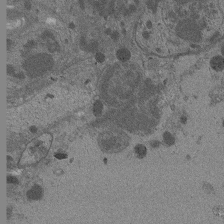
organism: Drosophila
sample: Antenna